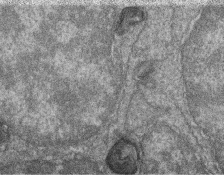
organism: Zebrafish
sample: Cilia; retinal pigment epithelium